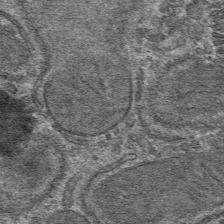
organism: Mouse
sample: Mouse hepatocytes